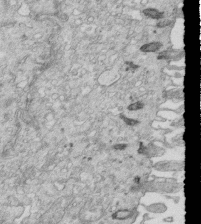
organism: Mouse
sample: Multiciliated cells